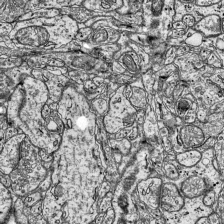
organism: Mouse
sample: Visual Cortex